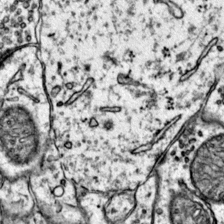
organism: Mouse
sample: Primary visual cortex